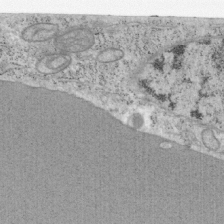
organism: Human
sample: HeLa cells